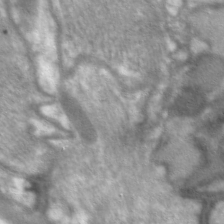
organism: C. elegans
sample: Pharynx